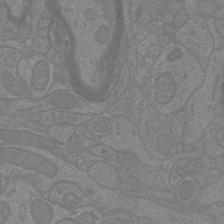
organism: Mouse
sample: Cortical neurons